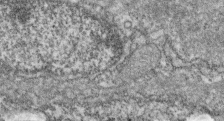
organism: Zebrafish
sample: Cilia; retinal pigment epithelium